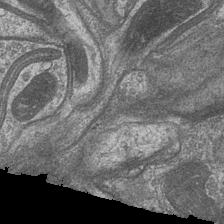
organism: Drosophila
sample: Optic medulla